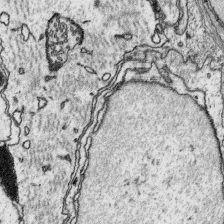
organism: Platynereis dumerilii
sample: Parapodia